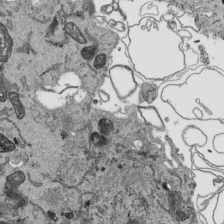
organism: Human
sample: Mitochondria in HCT116 cells